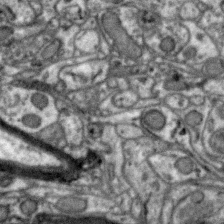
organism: Zebra finch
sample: Brain